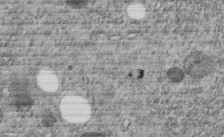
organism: C. elegans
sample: C. elegans embryo early stage